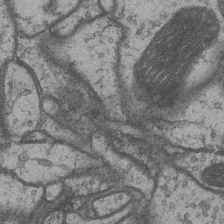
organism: Drosophila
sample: Optic medulla